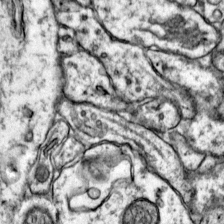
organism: Mouse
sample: Primary visual cortex